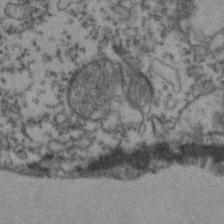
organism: Zebrafish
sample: Zebrafish embryo